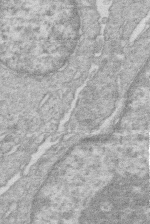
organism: Human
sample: Macrophage cells